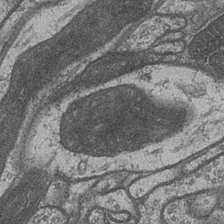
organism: Drosophila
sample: Optic medulla